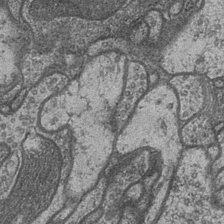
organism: Drosophila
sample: Optic medulla